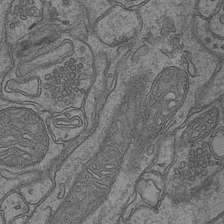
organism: Mouse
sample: CA1 Hippocampus